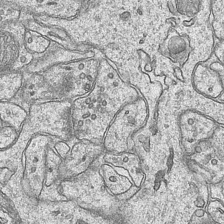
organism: Mouse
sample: CA1 Hippocampus